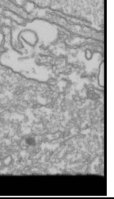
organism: Drosophila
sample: Cell division; meiosis; drosophila spermatocytes